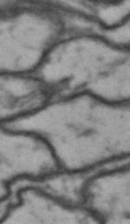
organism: Drosophila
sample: Brain